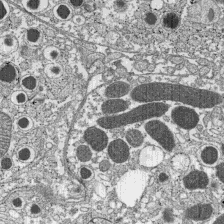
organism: C57BL Mouse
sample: Pancreatic islet